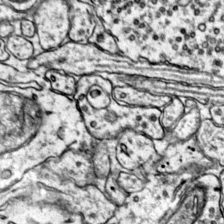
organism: Mouse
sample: Primary visual cortex